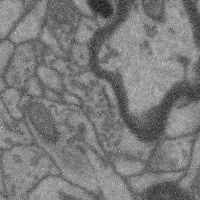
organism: Mouse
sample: Cerebral cortex